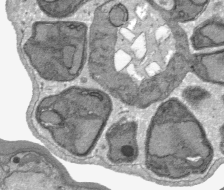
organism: Plasmodium falciparum